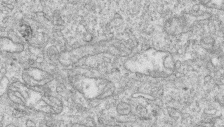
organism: Human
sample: HeLa cell HIV synapse